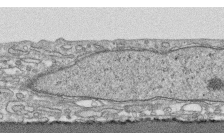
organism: Human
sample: CRL-1474